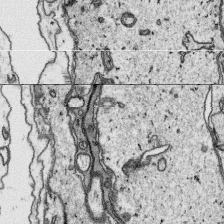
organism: Platynereis dumerilii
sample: Parapodia